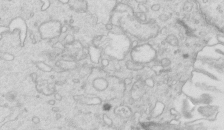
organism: Mouse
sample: Multiciliated cells